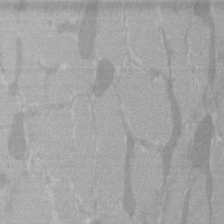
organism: C57BL Mouse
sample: Tibialis anterior muscle cell